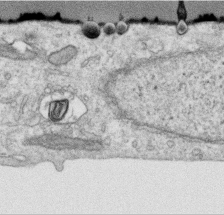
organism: Human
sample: Centriole in RPE cells